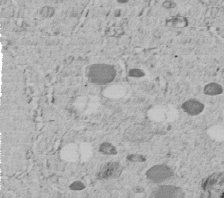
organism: C. elegans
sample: C. elegans embryo early stage